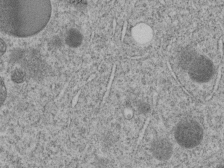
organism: C. elegans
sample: C. elegans embryo early stage